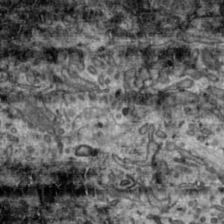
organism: Toxoplasma gondii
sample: Parasites in a vacuole inside a host cell